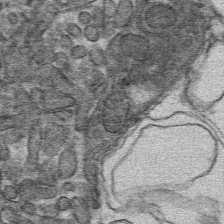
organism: Mouse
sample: Mouse hepatocytes